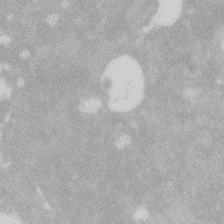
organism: Zebrafish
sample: Macrophage